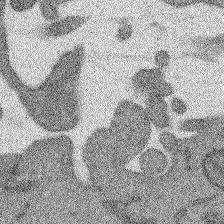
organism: Human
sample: HeLa cells